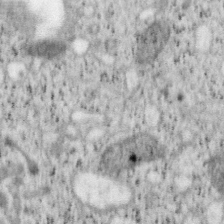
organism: Mouse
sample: OT-I killer T cells with ID8 ovarian cancer cells